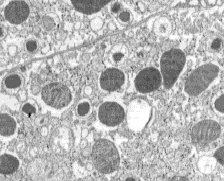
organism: C57BL Mouse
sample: Pancreatic islet